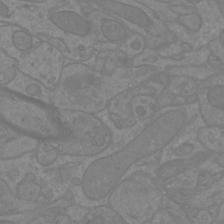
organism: Mouse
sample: Cortical neurons